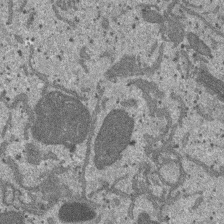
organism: Human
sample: Lung epithelial cells infected with SARS-CoV-2